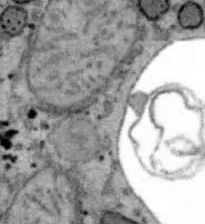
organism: Mouse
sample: Liver from an obese (ob/ob) mouse